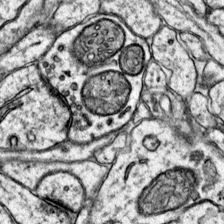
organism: Mouse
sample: Primary visual cortex